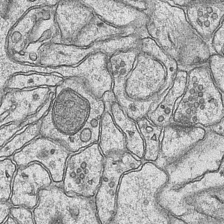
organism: Mouse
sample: CA1 Hippocampus